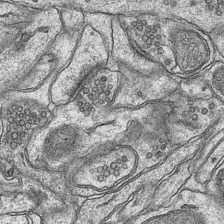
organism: Mouse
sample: CA1 Hippocampus